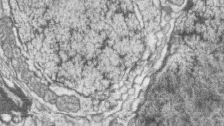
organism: Zebrafish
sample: synaptic ribbons in rod cells and cone cells